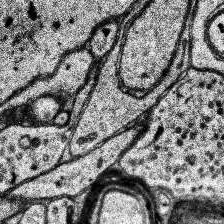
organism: Human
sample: Temporal Lobe